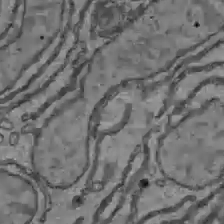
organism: C57BL Mouse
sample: Liver